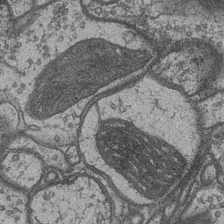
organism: Drosophila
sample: Optic medulla